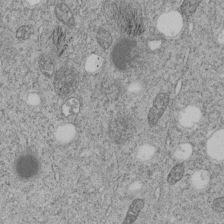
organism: C. elegans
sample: C. elegans embryo early stage